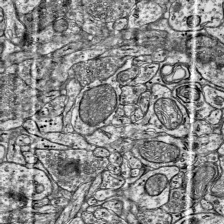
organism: Mouse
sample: Visual Cortex